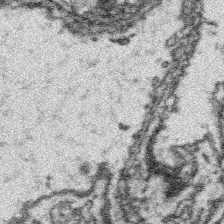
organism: Platynereis dumerilii